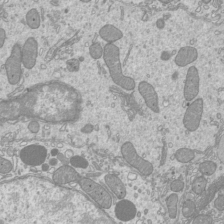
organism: Mouse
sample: Cilia; mouse epididymis